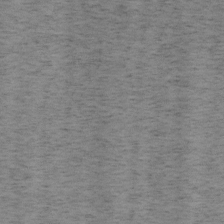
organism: Mouse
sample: OT-I killer T cells with ID8 ovarian cancer cells